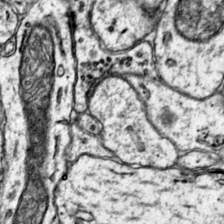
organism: Mouse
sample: Primary visual cortex